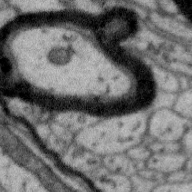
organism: Zebra finch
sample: Brain